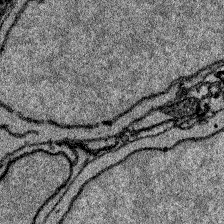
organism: Zebrafish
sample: Larval olfactory bulb